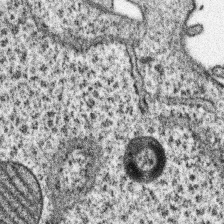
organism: Human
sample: HeLa cells